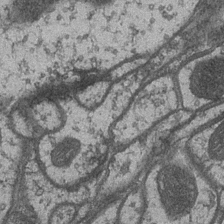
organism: Drosophila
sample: Optic medulla